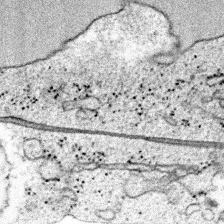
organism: Human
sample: HeLa cells